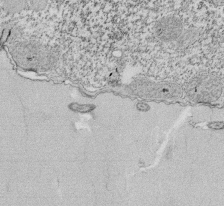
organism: Tetrahymena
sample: Cilia in tetrahymena